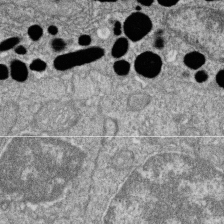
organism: Zebrafish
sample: Cilia; retinal pigment epithelium